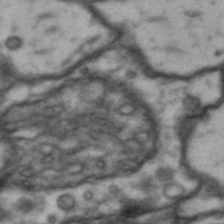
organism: Drosophila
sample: Brain